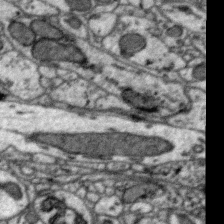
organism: Zebra finch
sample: Brain